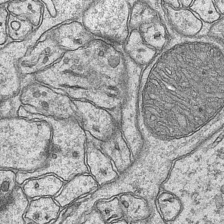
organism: Mouse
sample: CA1 Hippocampus